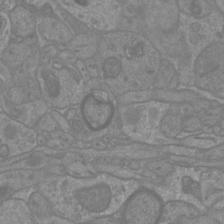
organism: Mouse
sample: Cortical neurons